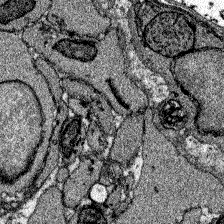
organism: Zebrafish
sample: Larval olfactory bulb